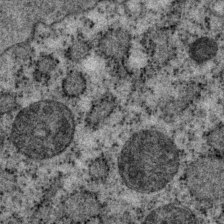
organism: P. pacificus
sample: Pharynx